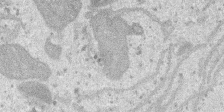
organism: Human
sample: Lung epithelial cells infected with SARS-CoV-2